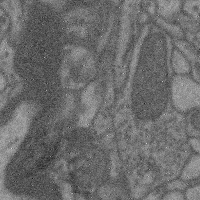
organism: Mouse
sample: Cerebral cortex